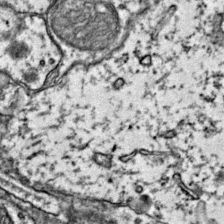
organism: Mouse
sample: Primary visual cortex